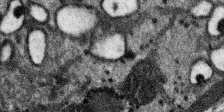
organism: Human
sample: Lung epithelial cells infected with SARS-CoV-2